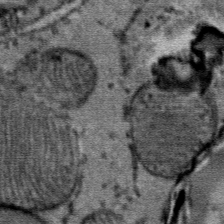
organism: Mouse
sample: Mouse Salivary gland